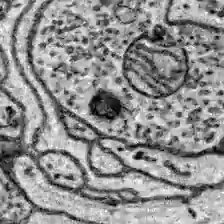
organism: Zebrafish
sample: Brain